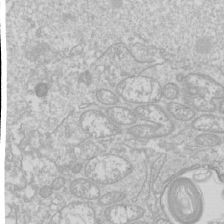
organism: Drosophila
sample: Cell division; meiosis; drosophila spermatocytes